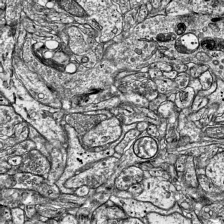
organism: Mouse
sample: Visual Cortex